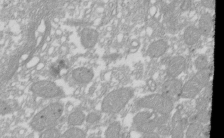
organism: Xenopus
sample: Cilia; centrioles in frog embryo cells